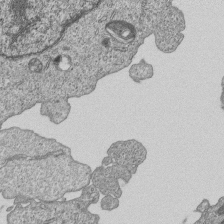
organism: Human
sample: MDA-MB-231 cells